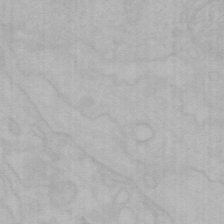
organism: Mouse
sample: Choroid plexus